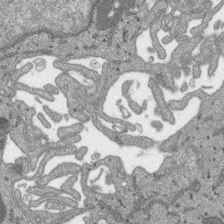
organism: Human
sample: Lung epithelial cells infected with SARS-CoV-2